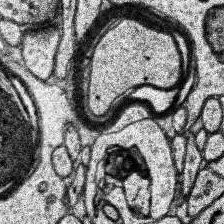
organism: Human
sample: Temporal Lobe